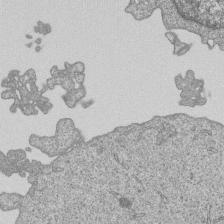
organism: Human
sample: MDA-MB-231 cells